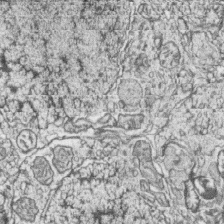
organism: Zebrafish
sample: synaptic ribbons in rod cells and cone cells